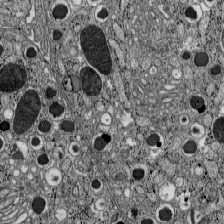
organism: C57BL Mouse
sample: Pancreatic islet